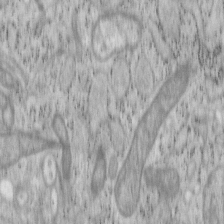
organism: Human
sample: HeLa cells